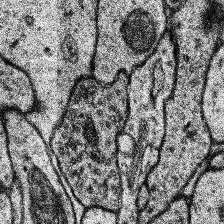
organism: Human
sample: Temporal Lobe